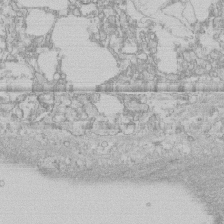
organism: Human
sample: CRL-1474